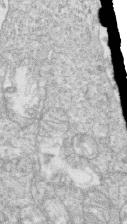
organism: Human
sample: HeLa cell HIV synapse